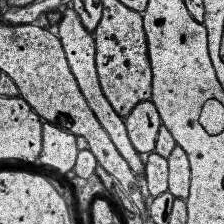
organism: Human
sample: Temporal Lobe